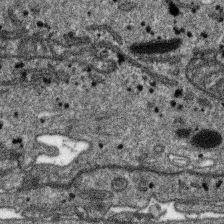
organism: Human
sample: Lung epithelial cells infected with SARS-CoV-2